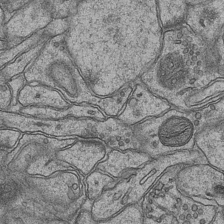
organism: Mouse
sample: CA1 Hippocampus